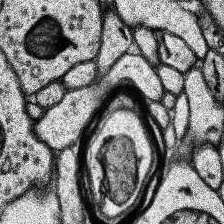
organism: Human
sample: Temporal Lobe